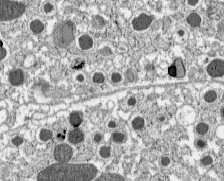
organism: C57BL Mouse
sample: Pancreatic islet